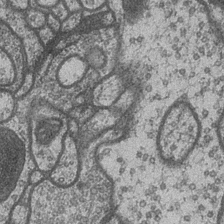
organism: Drosophila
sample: Optic medulla